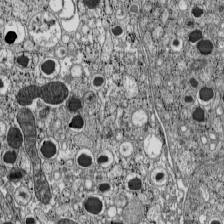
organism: C57BL Mouse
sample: Pancreatic islet